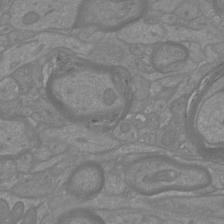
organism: Mouse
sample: Cortical neurons